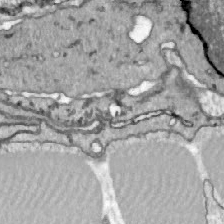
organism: Zebrafish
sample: Actinotrichia fibers